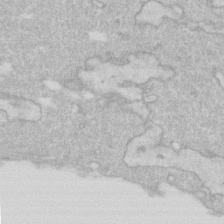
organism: Human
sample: Fibroblast cells